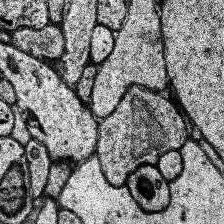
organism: Human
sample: Temporal Lobe